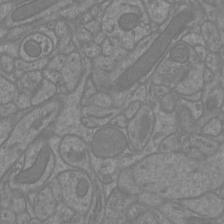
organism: Mouse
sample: Cortical neurons